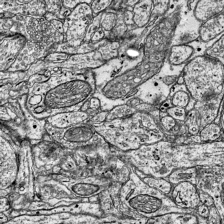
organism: Mouse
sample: Visual Cortex